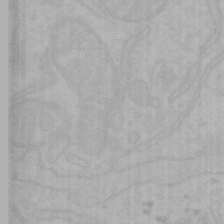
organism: Mouse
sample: Choroid plexus